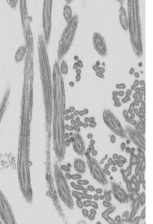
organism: Mouse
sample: Mouse epididymis efferent ductule cilia